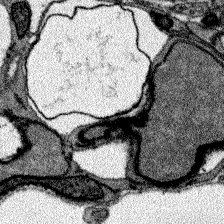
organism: Zebrafish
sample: Larval olfactory bulb